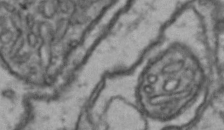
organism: Drosophila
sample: Brain